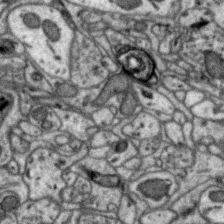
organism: Zebra finch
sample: Brain